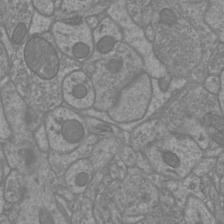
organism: Mouse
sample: Cortical neurons